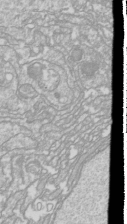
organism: Drosophila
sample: Cell division; meiosis; drosophila spermatocytes